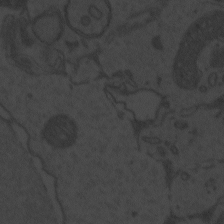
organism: Zebrafish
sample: Macrophage infected with Toxoplasma gondii